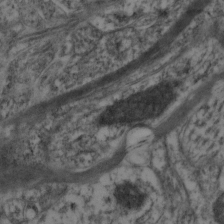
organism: Mouse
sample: Neocortex